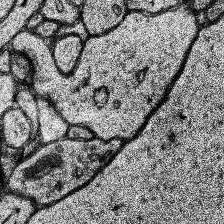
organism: Human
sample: Temporal Lobe